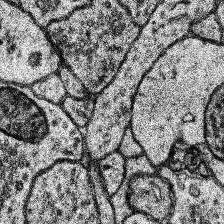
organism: Human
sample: Temporal Lobe